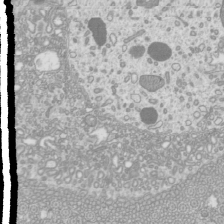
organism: Mouse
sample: Cilia; mouse epididymis